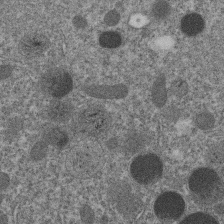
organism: C. elegans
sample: C. elegans embryo early stage